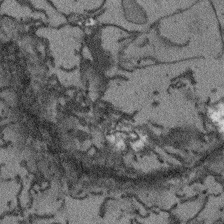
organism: Arabidopsis thaliana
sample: Root tip